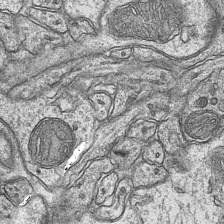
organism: Mouse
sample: CA1 Hippocampus